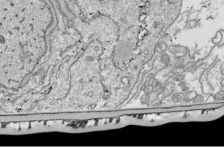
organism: Drosophila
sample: Cell division; meiosis; drosophila spermatocytes